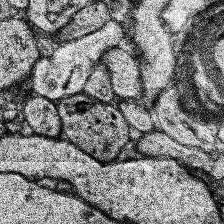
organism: Human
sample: Temporal Lobe